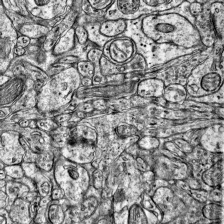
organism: Mouse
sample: Visual Cortex